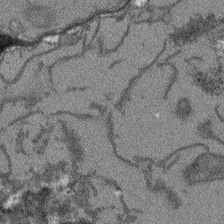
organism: Arabidopsis thaliana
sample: Root tip